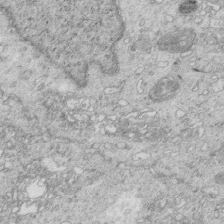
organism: Mouse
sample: Multiciliated cells